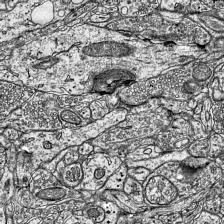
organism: Mouse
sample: Visual Cortex